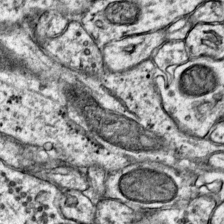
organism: Mouse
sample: Primary visual cortex